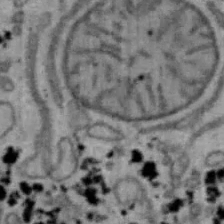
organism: Mouse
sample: Liver